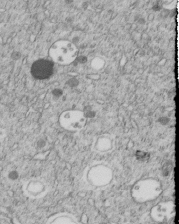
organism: C. elegans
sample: C. elegans embryo early stage